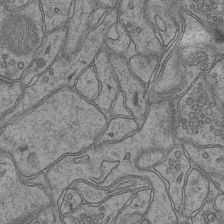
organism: Mouse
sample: CA1 Hippocampus